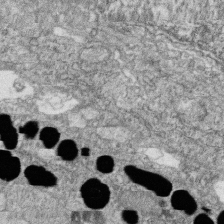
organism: Zebrafish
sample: Cilia; retinal pigment epithelium